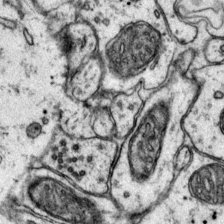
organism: Mouse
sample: Primary visual cortex